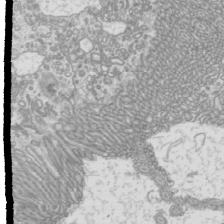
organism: Mouse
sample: Cilia; mouse epididymis